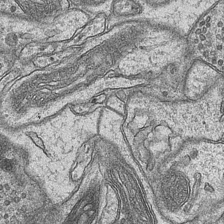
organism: Mouse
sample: CA1 Hippocampus